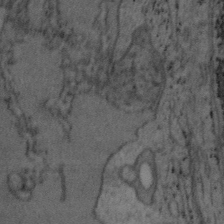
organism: Human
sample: HeLa cells